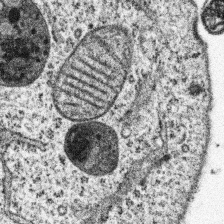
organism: Human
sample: HeLa cells